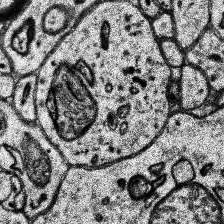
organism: Human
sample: Temporal Lobe